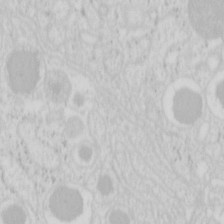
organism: Mouse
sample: Pancreas